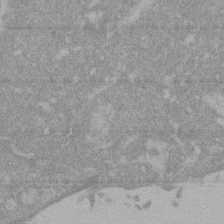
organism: Mouse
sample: ED-1 cell nuclei; centrioles